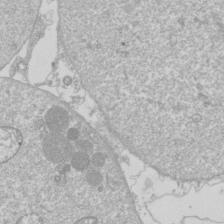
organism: Drosophila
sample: Cell division; meiosis; drosophila spermatocytes